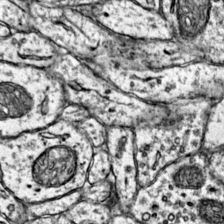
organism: Mouse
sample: Primary visual cortex